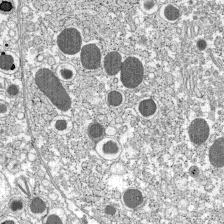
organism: C57BL Mouse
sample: Pancreatic islet